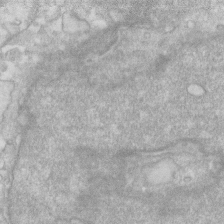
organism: Human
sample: Fibroblast cells